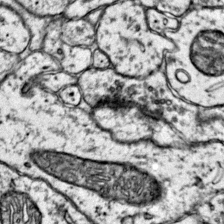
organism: Mouse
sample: Primary visual cortex